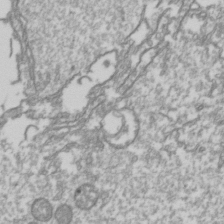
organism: Drosophila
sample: Cell division; meiosis; drosophila spermatocytes